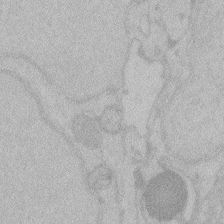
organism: Zebrafish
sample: Macrophage infected with Toxoplasma gondii